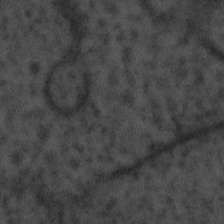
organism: Tuwongella immobilis